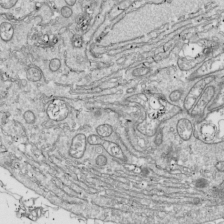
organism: Drosophila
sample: Cell division; meiosis; drosophila spermatocytes